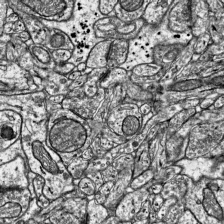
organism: Mouse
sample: Visual Cortex